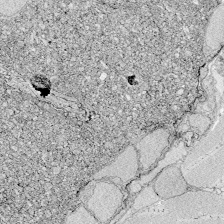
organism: Zebrafish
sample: Whole-Brain